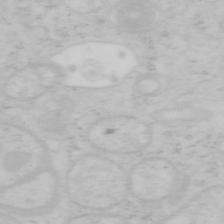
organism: Mouse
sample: OT-I killer T cells with ID8 ovarian cancer cells